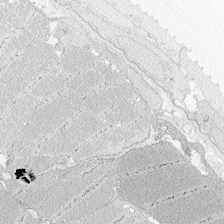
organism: Zebrafish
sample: Whole-Brain